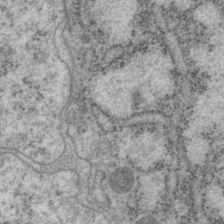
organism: P. pacificus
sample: Pharynx